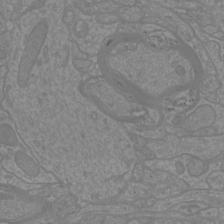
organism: Mouse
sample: Cortical neurons